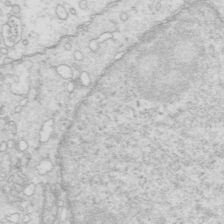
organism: Mouse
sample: Multiciliated cells